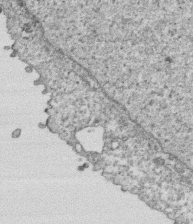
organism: Human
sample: HeLa cell HIV synapse